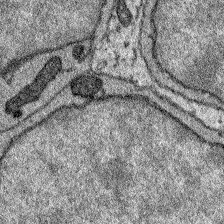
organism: Zebrafish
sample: Larval olfactory bulb